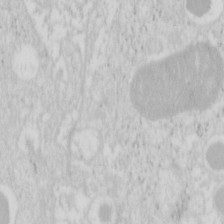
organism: Mouse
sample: Pancreas